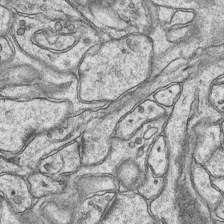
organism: Mouse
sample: CA1 Hippocampus